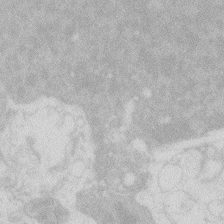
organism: Zebrafish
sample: Macrophage